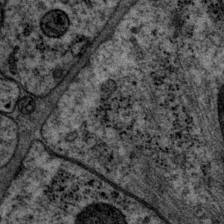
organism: P. pacificus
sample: Pharynx